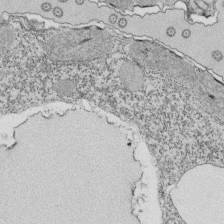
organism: Tetrahymena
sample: Cilia in tetrahymena